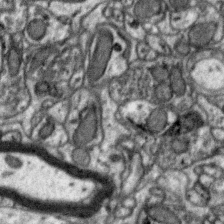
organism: Zebra finch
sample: Brain